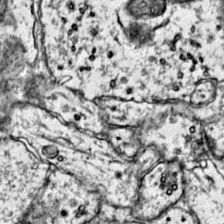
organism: Mouse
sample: Primary visual cortex